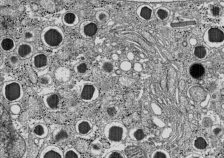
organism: C57BL Mouse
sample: Pancreatic islet